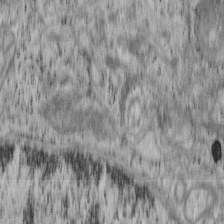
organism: Human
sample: HeLa cells